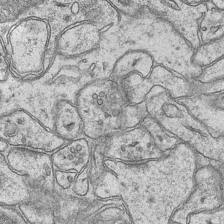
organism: Mouse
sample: CA1 Hippocampus